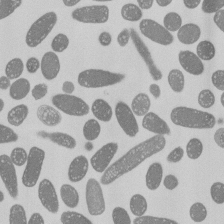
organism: E. coli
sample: Bacterial nucleoid